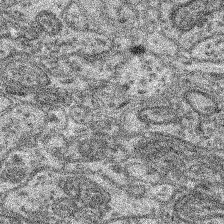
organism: Mouse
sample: Retina